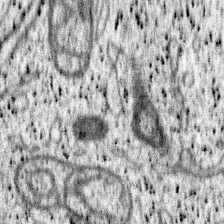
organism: Human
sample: HeLa cells